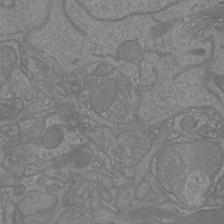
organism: Mouse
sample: Cortical neurons